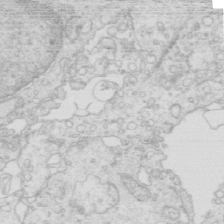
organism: Mouse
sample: Multiciliated cells